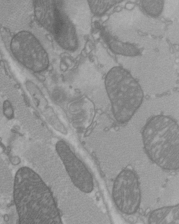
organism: C57BL Mouse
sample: Heart